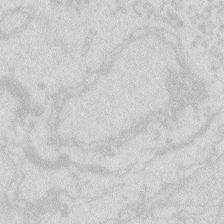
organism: Zebrafish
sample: Macrophage